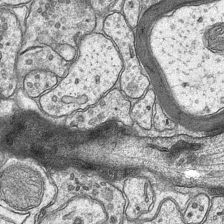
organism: Mouse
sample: CA1 Hippocampus